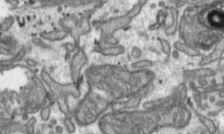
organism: Toxoplasma gondii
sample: Parasites in a vacuole inside a host cell